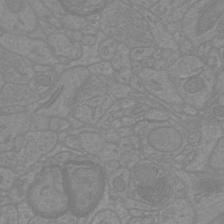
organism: Mouse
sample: Cortical neurons